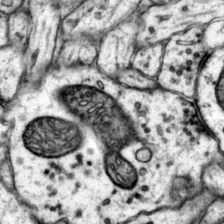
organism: Mouse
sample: Primary visual cortex